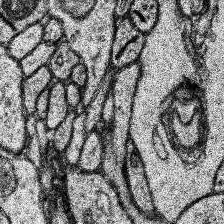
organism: Human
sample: Temporal Lobe